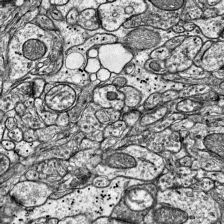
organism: Mouse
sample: Visual Cortex